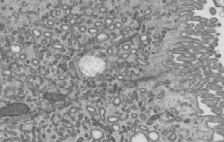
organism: Mouse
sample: Mouse epididymis efferent ductule cilia